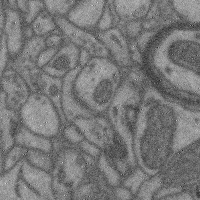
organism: Mouse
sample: Cerebral cortex